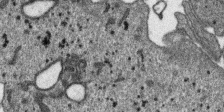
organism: Human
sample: Lung epithelial cells infected with SARS-CoV-2